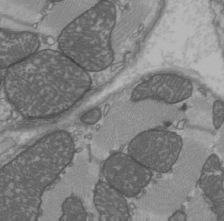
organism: C57BL Mouse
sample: Heart